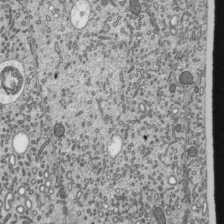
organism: Mouse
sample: Mouse epididymis efferent ductule cilia